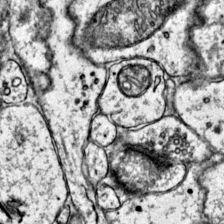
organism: Mouse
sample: Primary visual cortex